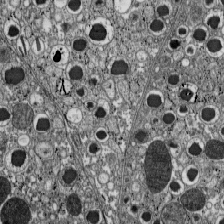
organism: C57BL Mouse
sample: Pancreatic islet